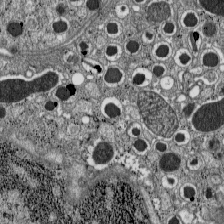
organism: C57BL Mouse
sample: Pancreatic islet